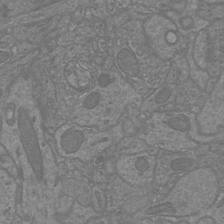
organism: Mouse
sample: Cortical neurons